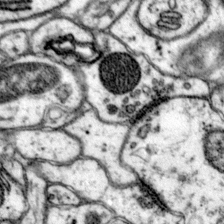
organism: Mouse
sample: Primary visual cortex